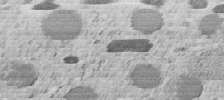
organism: C. elegans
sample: C. elegans embryo early stage